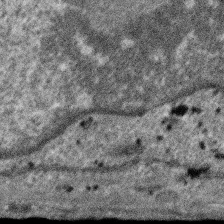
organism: Human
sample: Lung epithelial cells infected with SARS-CoV-2